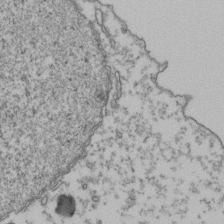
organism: Human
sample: Activated Jurkat CD4+ T cells